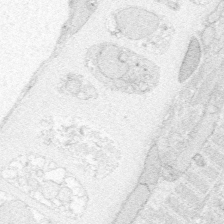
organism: Zebrafish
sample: Whole-Brain